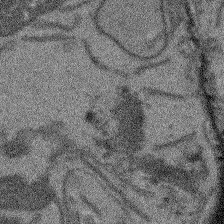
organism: Arabidopsis thaliana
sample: Root tip